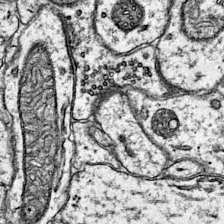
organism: Mouse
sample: Primary visual cortex